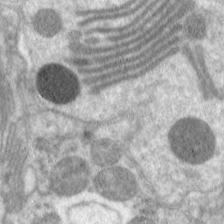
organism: C. elegans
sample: Pharynx